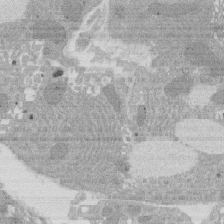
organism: Rat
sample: Salivary granule